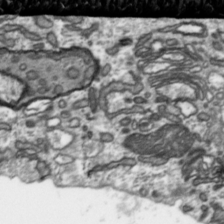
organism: Toxoplasma gondii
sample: Parasites in a vacuole inside a host cell